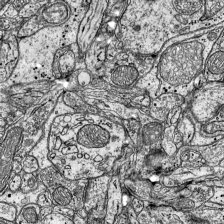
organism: Mouse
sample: Visual Cortex